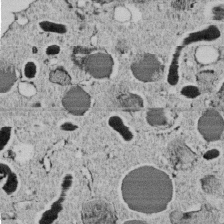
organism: C. elegans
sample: C. elegans embryo early stage